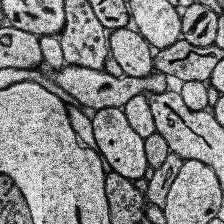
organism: Human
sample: Temporal Lobe